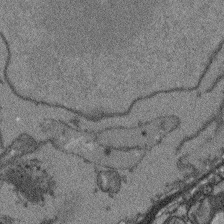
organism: Arabidopsis thaliana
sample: Root tip